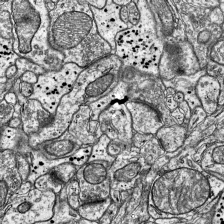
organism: Mouse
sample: Visual Cortex